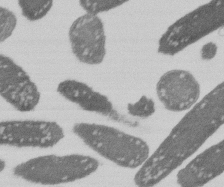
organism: E. coli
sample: Bacterial nucleoid